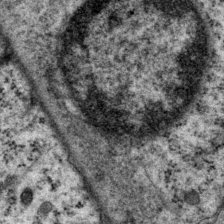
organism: P. pacificus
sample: Pharynx